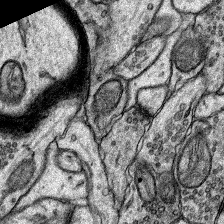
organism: Rat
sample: Hippocampus